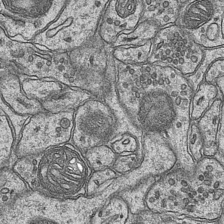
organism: Mouse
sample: CA1 Hippocampus